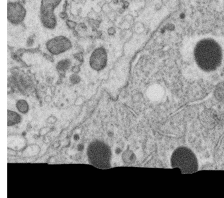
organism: C. elegans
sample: C. elegans oocyte; sperm cells